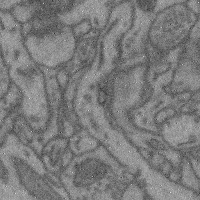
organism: Mouse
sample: Cerebral cortex